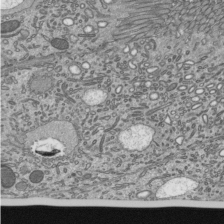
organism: Mouse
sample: Mouse epididymis efferent ductule cilia